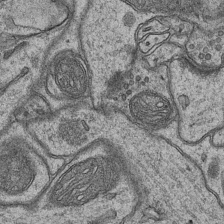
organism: Mouse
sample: CA1 Hippocampus